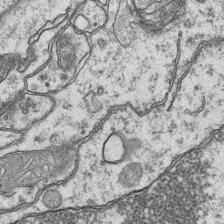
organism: Mouse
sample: CA1 Hippocampus